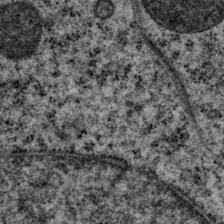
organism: P. pacificus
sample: Pharynx